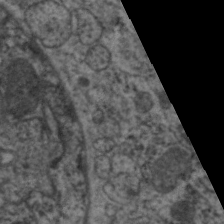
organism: C. elegans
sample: Pharynx